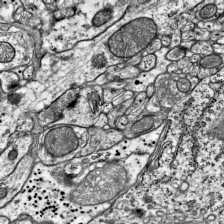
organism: Mouse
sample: Visual Cortex